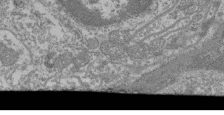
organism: Mouse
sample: Glomerulus